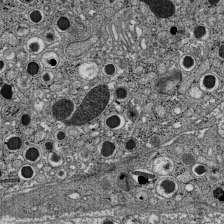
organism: C57BL Mouse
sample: Pancreatic islet